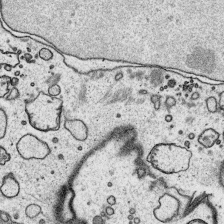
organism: Platynereis dumerilii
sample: Parapodia